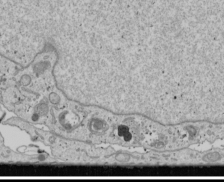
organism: Human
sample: Mitochondria in U2OS cells